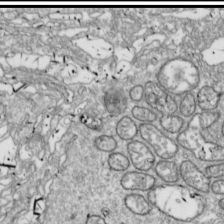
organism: Drosophila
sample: Cell division; meiosis; drosophila spermatocytes